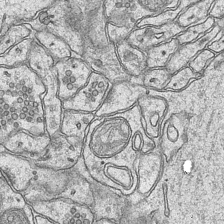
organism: Mouse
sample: CA1 Hippocampus